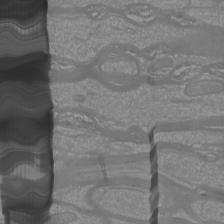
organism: Mouse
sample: Cortical neurons